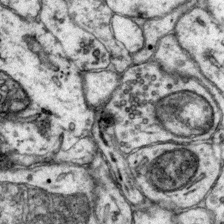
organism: Mouse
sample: Primary visual cortex